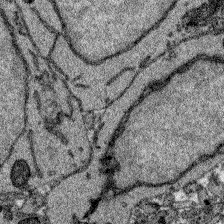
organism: Zebrafish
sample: Larval olfactory bulb